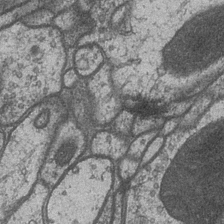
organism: Drosophila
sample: Optic medulla